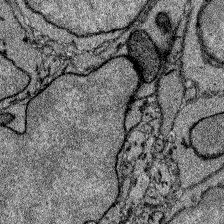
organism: Zebrafish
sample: Larval olfactory bulb